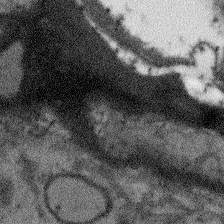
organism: Arabidopsis thaliana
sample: Root tip